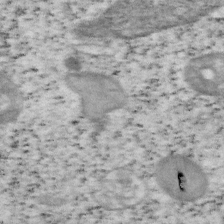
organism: Mouse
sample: OT-I killer T cells with ID8 ovarian cancer cells